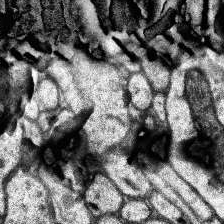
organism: Human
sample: Temporal Lobe